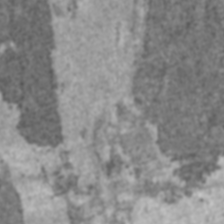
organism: C57BL Mouse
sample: Heart